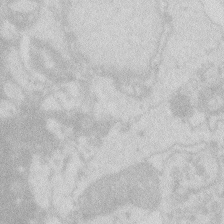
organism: Zebrafish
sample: Macrophage